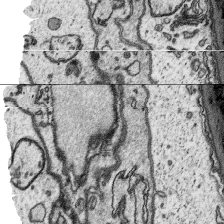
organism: Platynereis dumerilii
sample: Parapodia